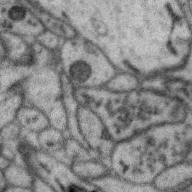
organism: Zebra finch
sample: Brain